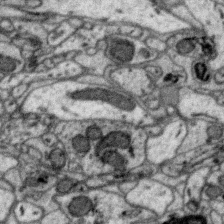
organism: Zebra finch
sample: Brain